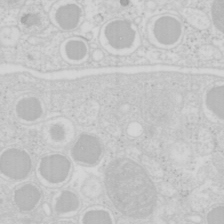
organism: Mouse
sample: Pancreas